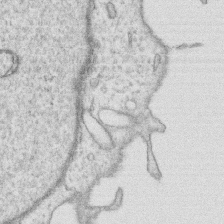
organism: Human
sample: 1205lu cells